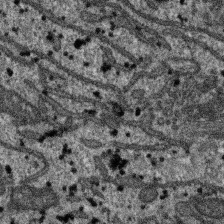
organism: Human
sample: Lung epithelial cells infected with SARS-CoV-2